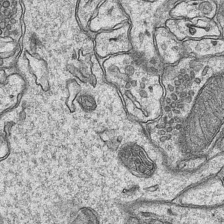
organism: Mouse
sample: CA1 Hippocampus